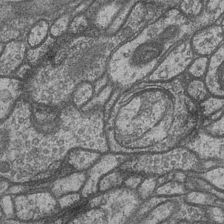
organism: Drosophila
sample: Optic medulla